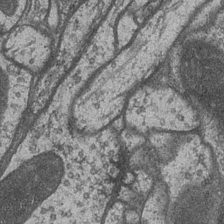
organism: Drosophila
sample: Optic medulla